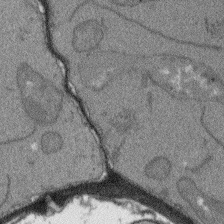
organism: Arabidopsis thaliana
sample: Root tip